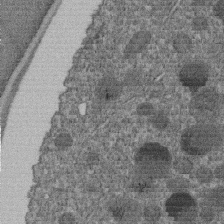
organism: C. elegans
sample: C. elegans embryo early stage